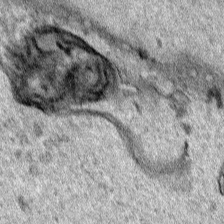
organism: Human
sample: Mitochondria in HCT116 cells